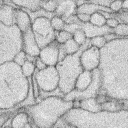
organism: Rabbit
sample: Retina